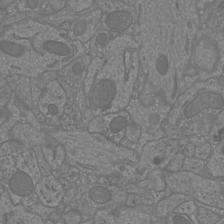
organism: Mouse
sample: Cortical neurons